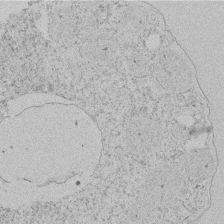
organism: Tetrahymena